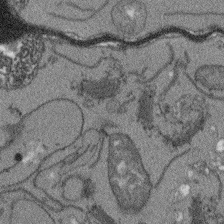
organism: Arabidopsis thaliana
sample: Root tip